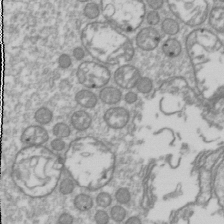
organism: Drosophila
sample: Cell division; meiosis; drosophila spermatocytes